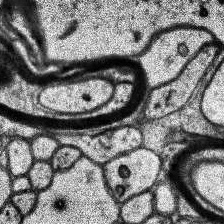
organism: Human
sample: Temporal Lobe